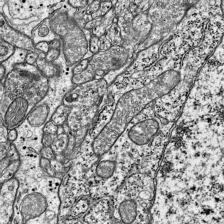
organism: Mouse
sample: Visual Cortex